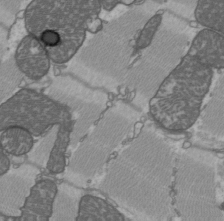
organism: C57BL Mouse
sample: Heart